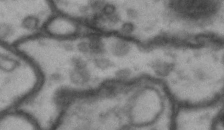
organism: Drosophila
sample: Brain